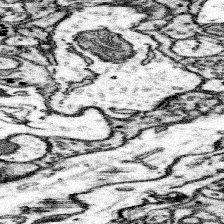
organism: Mouse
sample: Somatosensory cortex neuropil